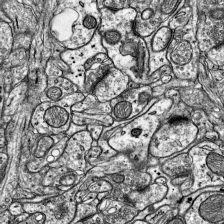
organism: Mouse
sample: Visual Cortex